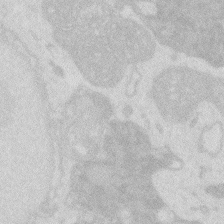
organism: Zebrafish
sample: Macrophage